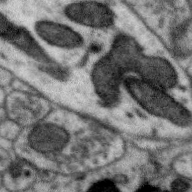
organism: Zebra finch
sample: Brain